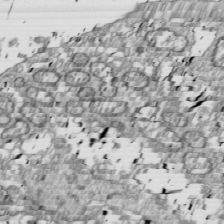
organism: Drosophila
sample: Cell division; meiosis; drosophila spermatocytes